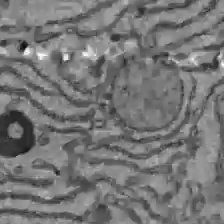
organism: C57BL Mouse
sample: Liver